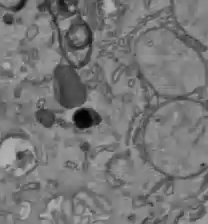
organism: C57BL Mouse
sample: Liver